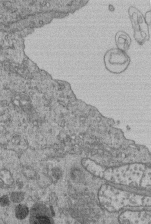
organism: Human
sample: Retinal organoid Rod and Cone cells